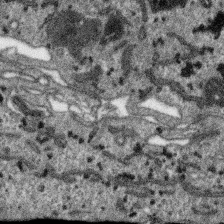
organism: Human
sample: Lung epithelial cells infected with SARS-CoV-2